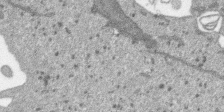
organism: Human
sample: Lung epithelial cells infected with SARS-CoV-2